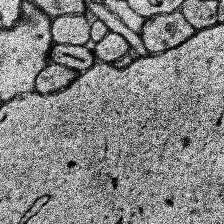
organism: Human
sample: Temporal Lobe